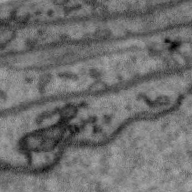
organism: Zebra finch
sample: Brain